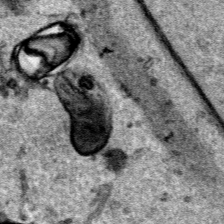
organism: Human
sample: Mitochondria in HCT116 cells